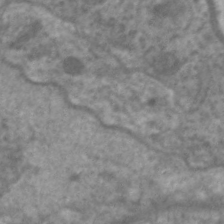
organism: C. elegans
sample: Pharynx